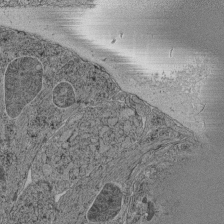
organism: C. elegans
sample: C. elegans pharynx